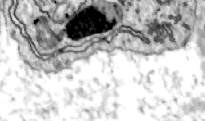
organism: Zebrafish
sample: Actinotrichia fibers